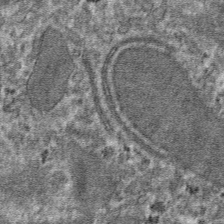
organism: Mouse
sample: Mouse hepatocytes